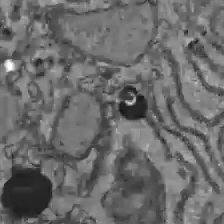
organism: C57BL Mouse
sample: Liver